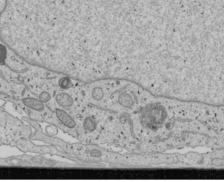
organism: Human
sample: Mitochondria in U2OS cells